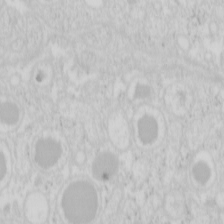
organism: Mouse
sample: Pancreas